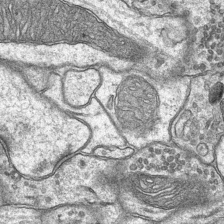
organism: Mouse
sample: CA1 Hippocampus